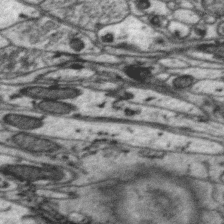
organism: Zebra finch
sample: Brain